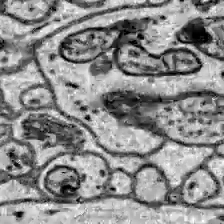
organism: Zebrafish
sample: Brain